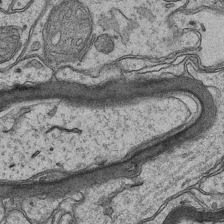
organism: Mouse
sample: CA1 Hippocampus